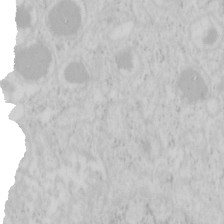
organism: Mouse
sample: Pancreas